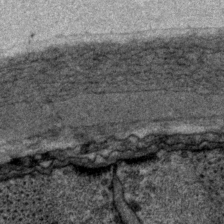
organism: P. pacificus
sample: Pharynx